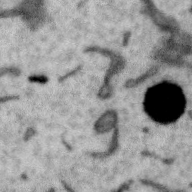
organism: Zebra finch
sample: Brain